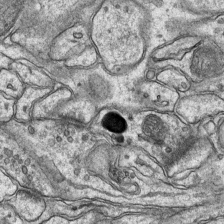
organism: Mouse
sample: CA1 Hippocampus